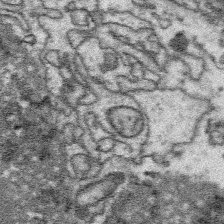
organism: Platynereis dumerilii